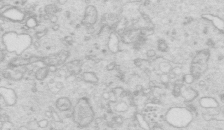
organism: Mouse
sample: Multiciliated cells